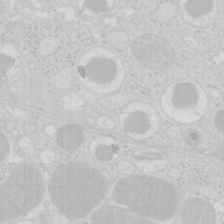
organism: Mouse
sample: Pancreas